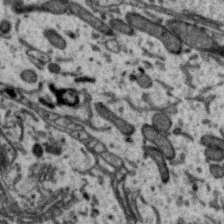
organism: Zebra finch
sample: Brain